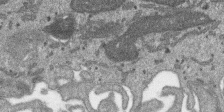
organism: Human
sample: Lung epithelial cells infected with SARS-CoV-2